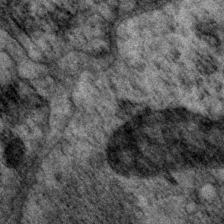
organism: P. pacificus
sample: Pharynx